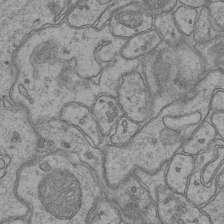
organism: Mouse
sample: CA1 Hippocampus